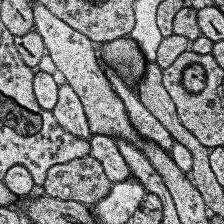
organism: Human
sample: Temporal Lobe